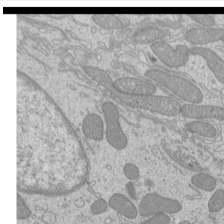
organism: Mouse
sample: Cilia; mouse epididymis